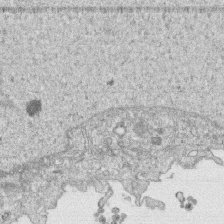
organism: Human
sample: HeLa cell HIV synapse